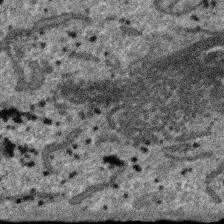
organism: Human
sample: Lung epithelial cells infected with SARS-CoV-2